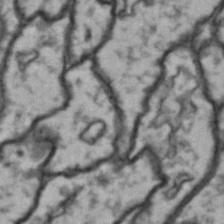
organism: Drosophila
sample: Brain